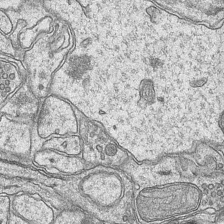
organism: Mouse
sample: CA1 Hippocampus